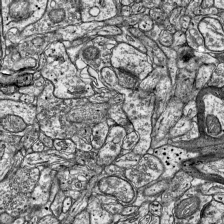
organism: Mouse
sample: Visual Cortex